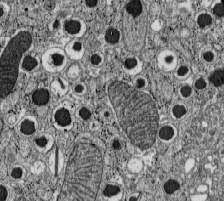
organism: C57BL Mouse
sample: Pancreatic islet